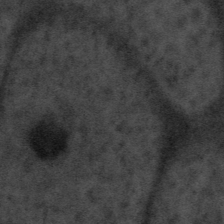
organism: Tuwongella immobilis